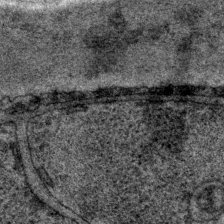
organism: P. pacificus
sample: Pharynx